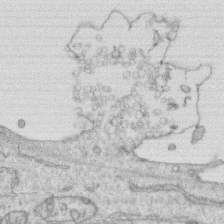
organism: Human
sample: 1205lu cells